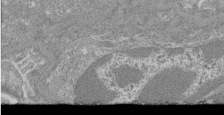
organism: Mouse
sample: Glomerulus